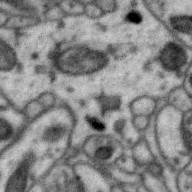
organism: Zebra finch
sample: Brain